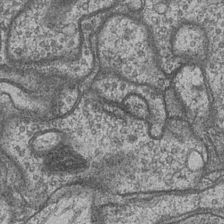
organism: Drosophila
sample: Optic medulla